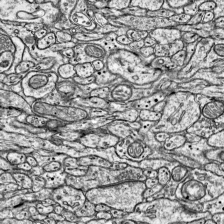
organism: Mouse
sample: Visual Cortex